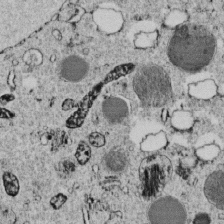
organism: C. elegans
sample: C. elegans embryo early stage